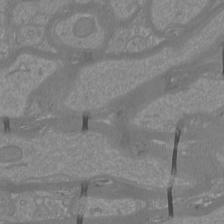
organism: Mouse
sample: Cortical neurons